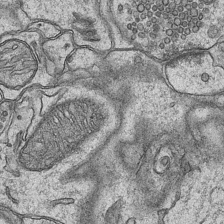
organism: Mouse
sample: CA1 Hippocampus